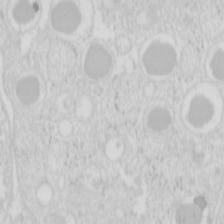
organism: Mouse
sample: Pancreas